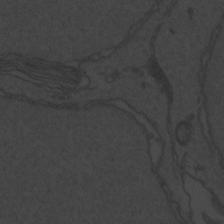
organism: Zebrafish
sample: Macrophage infected with Toxoplasma gondii